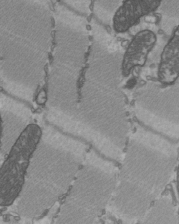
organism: C57BL Mouse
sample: Heart